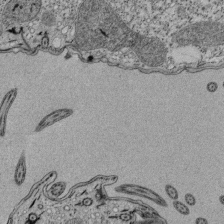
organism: Tetrahymena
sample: Cilia in tetrahymena